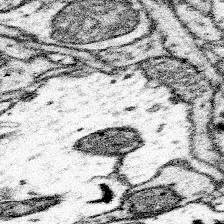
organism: Mouse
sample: Somatosensory cortex neuropil